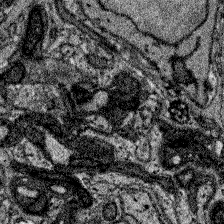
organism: Zebrafish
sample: Larval olfactory bulb